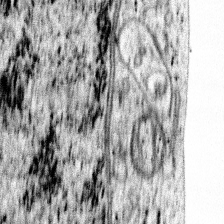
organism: Human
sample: HeLa cells